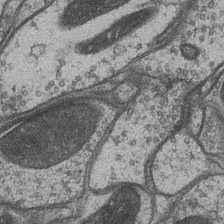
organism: Drosophila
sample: Optic medulla